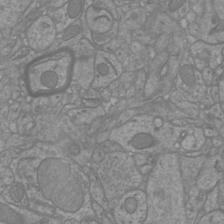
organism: Mouse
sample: Cortical neurons